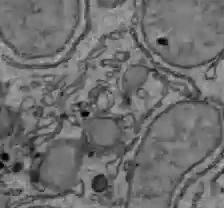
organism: C57BL Mouse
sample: Liver